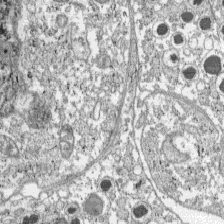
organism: C57BL Mouse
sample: Pancreatic islet